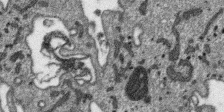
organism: Human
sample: Lung epithelial cells infected with SARS-CoV-2